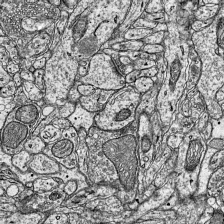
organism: Mouse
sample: Visual Cortex